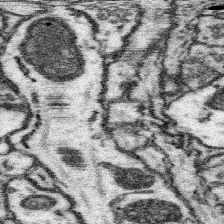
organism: Mouse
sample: Somatosensory cortex neuropil